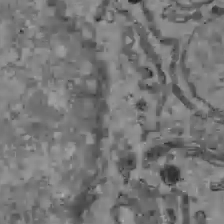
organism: C57BL Mouse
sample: Liver